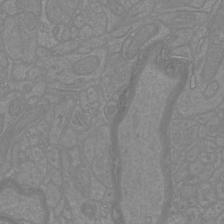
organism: Mouse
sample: Cortical neurons